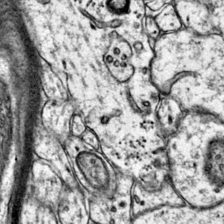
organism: Mouse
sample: Primary visual cortex